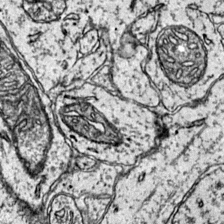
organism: Mouse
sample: Primary visual cortex